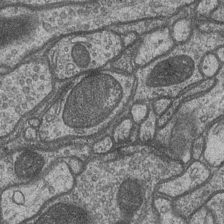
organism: Drosophila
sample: Optic medulla